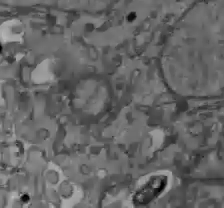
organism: C57BL Mouse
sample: Liver